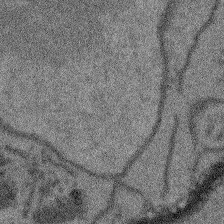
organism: Arabidopsis thaliana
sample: Root tip